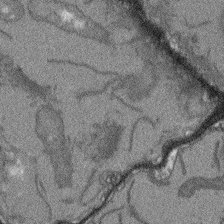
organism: Arabidopsis thaliana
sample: Root tip